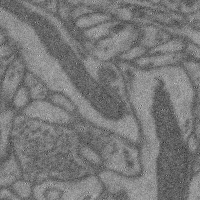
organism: Mouse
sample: Cerebral cortex